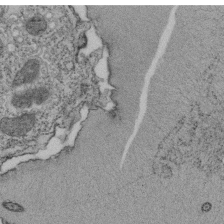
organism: Tetrahymena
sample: Cilia in tetrahymena